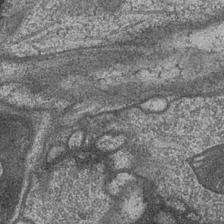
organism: Drosophila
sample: Optic medulla